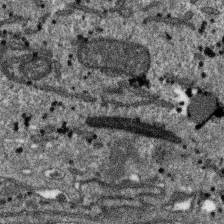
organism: Human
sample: Lung epithelial cells infected with SARS-CoV-2